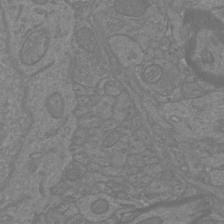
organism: Mouse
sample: Cortical neurons